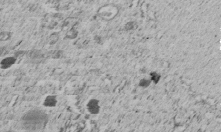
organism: C. elegans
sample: C. elegans embryo early stage